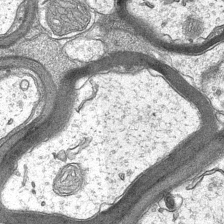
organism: Mouse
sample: CA1 Hippocampus